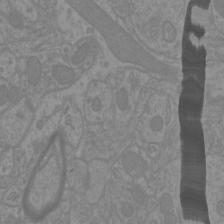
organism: Mouse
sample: Cortical neurons